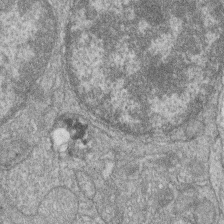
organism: Zebrafish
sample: Cilia; retinal pigment epithelium